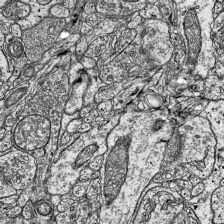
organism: Mouse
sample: Visual Cortex